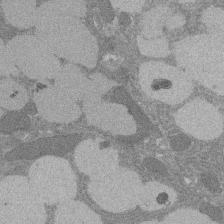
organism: Rat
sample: Salivary granule